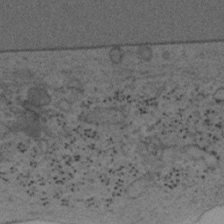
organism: Human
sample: HeLa cells